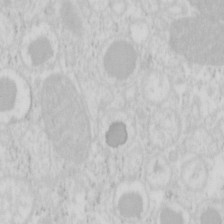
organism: Mouse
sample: Pancreas